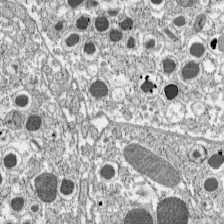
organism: C57BL Mouse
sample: Pancreatic islet